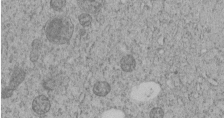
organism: C. elegans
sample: C. elegans embryo early stage